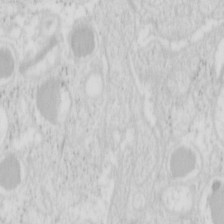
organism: Mouse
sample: Pancreas